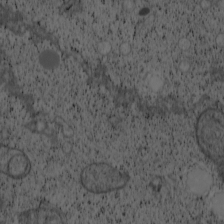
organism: African green monkey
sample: COS-7 cells